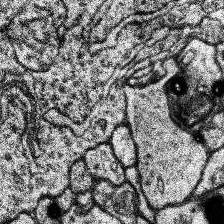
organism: Human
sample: Temporal Lobe